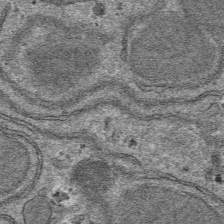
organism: Mouse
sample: Mouse hepatocytes